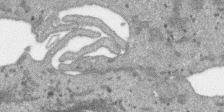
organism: Human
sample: Lung epithelial cells infected with SARS-CoV-2